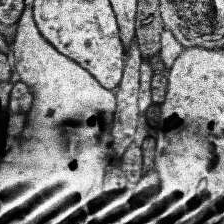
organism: Human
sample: Temporal Lobe